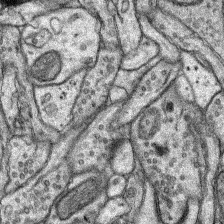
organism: Rat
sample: Hippocampus